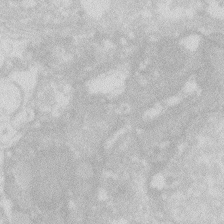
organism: Zebrafish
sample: Macrophage